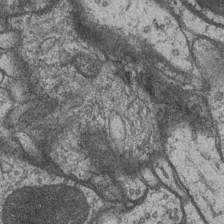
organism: Drosophila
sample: Optic medulla